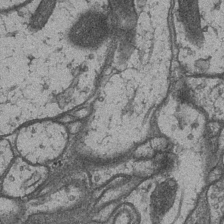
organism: Drosophila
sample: Optic medulla